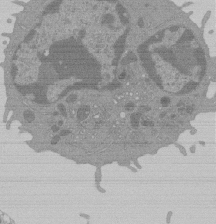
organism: Mouse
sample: Activated Pmel transgenic CD8+ T Cells